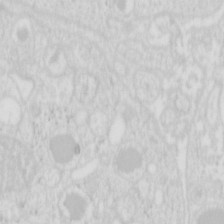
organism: Mouse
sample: Pancreas